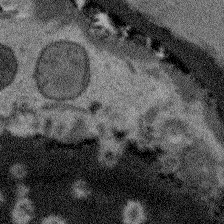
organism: Arabidopsis thaliana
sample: Root tip